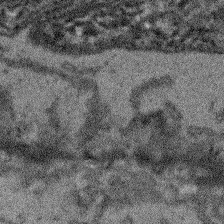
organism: Arabidopsis thaliana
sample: Root tip